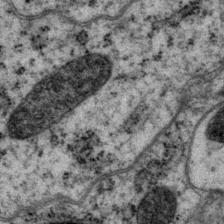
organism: P. pacificus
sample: Pharynx